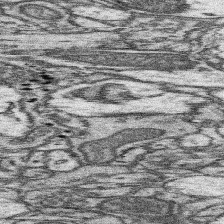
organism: Mouse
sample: Somatosensory cortex neuropil